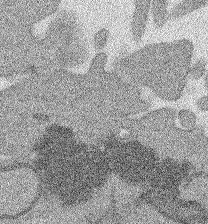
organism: Human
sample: HeLa cells